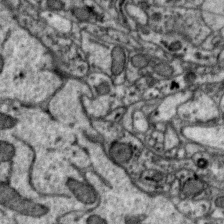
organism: Zebra finch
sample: Brain